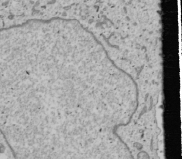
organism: Human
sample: Mitochondria in U2OS cells